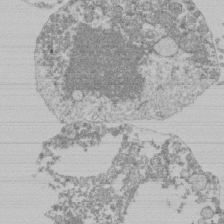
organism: Mouse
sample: Activated Pmel transgenic CD8+ T Cells